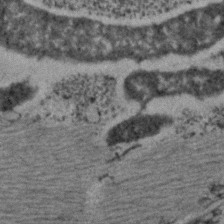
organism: C. elegans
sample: C. elegans embryo